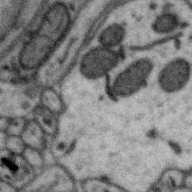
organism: Zebra finch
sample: Brain